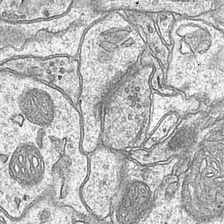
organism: Mouse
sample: CA1 Hippocampus